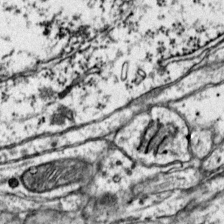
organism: Mouse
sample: Primary visual cortex